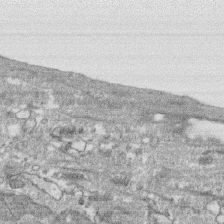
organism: Human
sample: CRL-1474